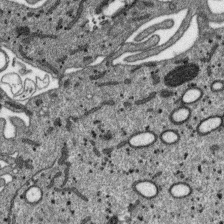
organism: Human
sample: Lung epithelial cells infected with SARS-CoV-2